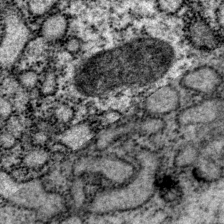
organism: P. pacificus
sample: Pharynx